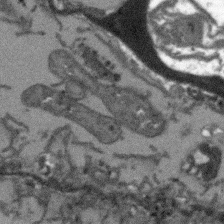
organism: Arabidopsis thaliana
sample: Root tip